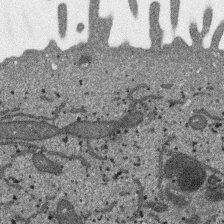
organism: Human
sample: Lung epithelial cells infected with SARS-CoV-2